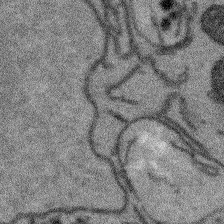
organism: Arabidopsis thaliana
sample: Root tip